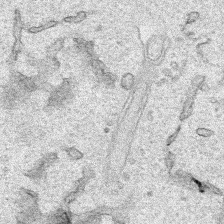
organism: Human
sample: Mitochondria in HCT116 cells